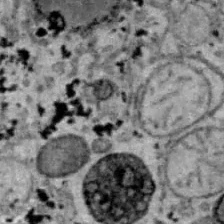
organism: Mouse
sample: Liver from an obese (ob/ob) mouse